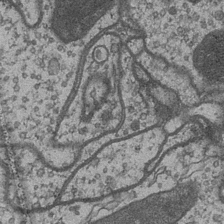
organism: Drosophila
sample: Optic medulla